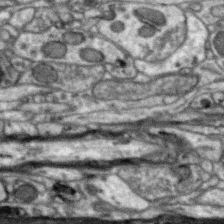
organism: Zebra finch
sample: Brain